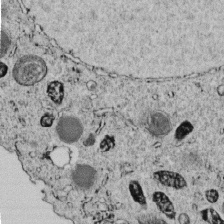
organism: C. elegans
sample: C. elegans embryo early stage